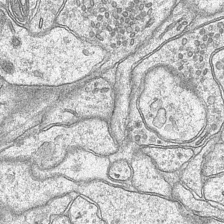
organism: Mouse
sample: CA1 Hippocampus